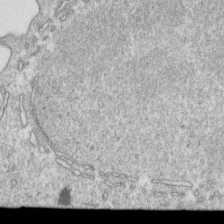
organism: Mouse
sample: Activated OT-1 CD8+ T cells